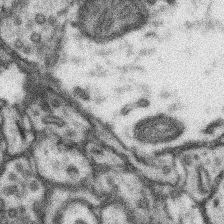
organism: Mouse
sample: Somatosensory cortex neuropil